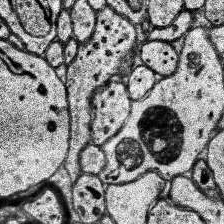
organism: Human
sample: Temporal Lobe